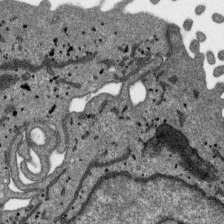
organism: Human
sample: Lung epithelial cells, uninfected (mock) control